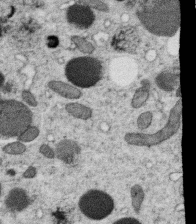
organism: C. elegans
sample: C. elegans oocyte; sperm cells